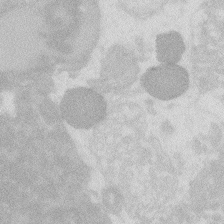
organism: Zebrafish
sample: Macrophage